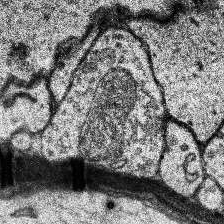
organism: Human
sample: Temporal Lobe